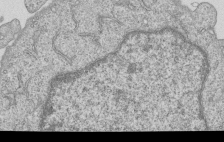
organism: Human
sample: MDA-MB-231 cells